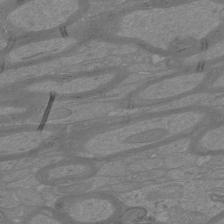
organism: Mouse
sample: Cortical neurons